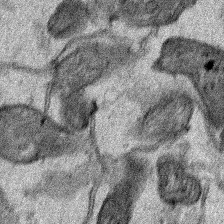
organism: Human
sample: Mitochondria in HCT116 cells